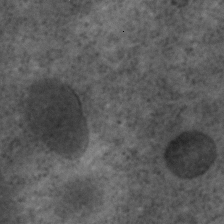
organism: C. elegans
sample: C. elegans embryo